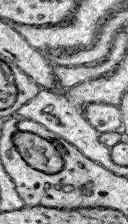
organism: Zebrafish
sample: Brain